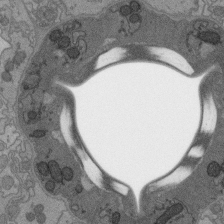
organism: C. elegans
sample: AFD neurons C. elegans